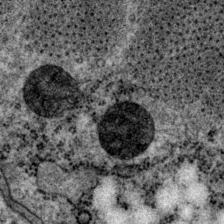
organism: P. pacificus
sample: Pharynx